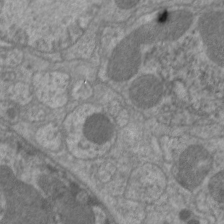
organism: C. elegans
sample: Pharynx